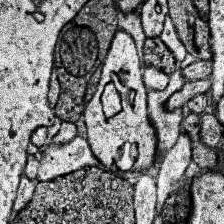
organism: Human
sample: Temporal Lobe